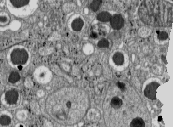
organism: C57BL Mouse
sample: Pancreatic islet